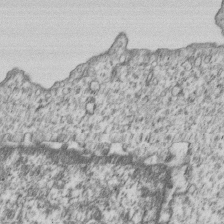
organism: Human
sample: MDA-MB-231 cells